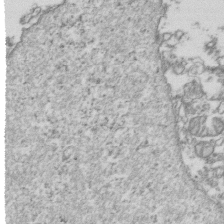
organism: Human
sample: Activated Jurkat CD4+ T cells